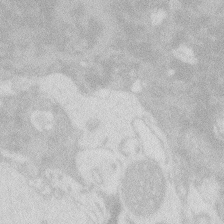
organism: Zebrafish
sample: Macrophage